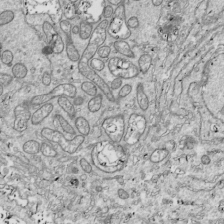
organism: Drosophila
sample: Cell division; meiosis; drosophila spermatocytes